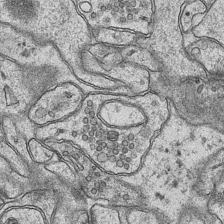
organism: Mouse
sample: CA1 Hippocampus